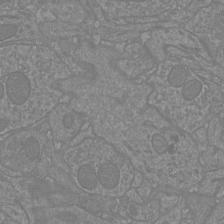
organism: Mouse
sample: Cortical neurons